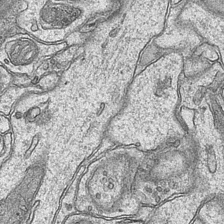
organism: Mouse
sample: CA1 Hippocampus